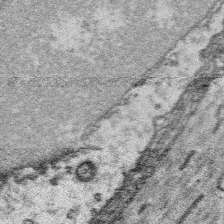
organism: Platynereis dumerilii